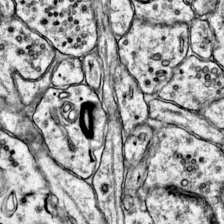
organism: Mouse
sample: Primary visual cortex